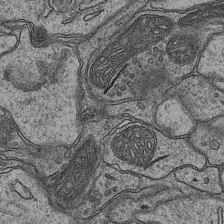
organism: Mouse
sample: CA1 Hippocampus